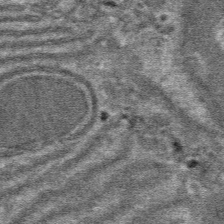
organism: Mouse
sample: Mouse hepatocytes